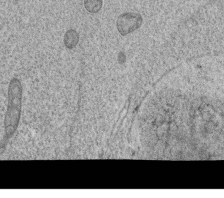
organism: C. elegans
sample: C. elegans oocyte; sperm cells